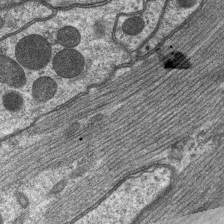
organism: C. elegans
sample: Pharynx